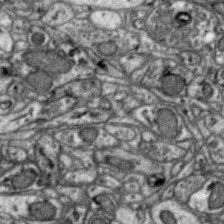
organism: Zebra finch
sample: Brain